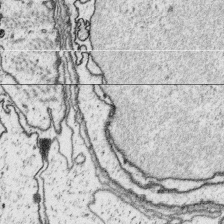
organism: Platynereis dumerilii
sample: Parapodia